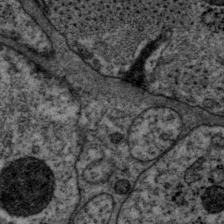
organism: P. pacificus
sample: Pharynx